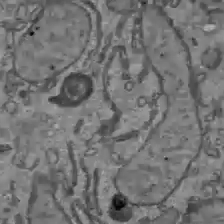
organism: C57BL Mouse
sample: Liver